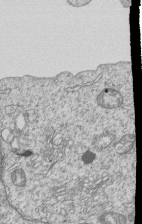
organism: Human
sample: MDA-MB-231 cells